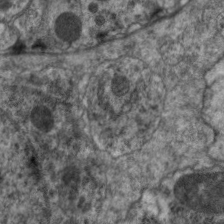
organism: C. elegans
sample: Pharynx